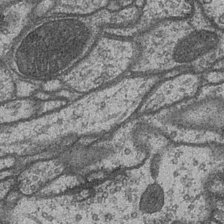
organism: Drosophila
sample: Optic medulla